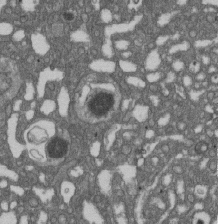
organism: Drosophila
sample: Nephrocyte